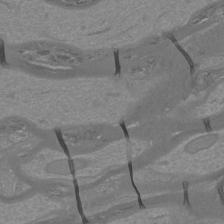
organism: Mouse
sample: Cortical neurons